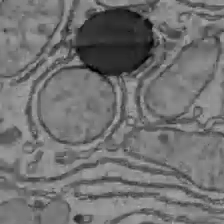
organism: C57BL Mouse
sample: Liver